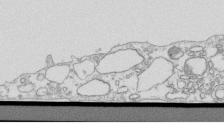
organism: Mouse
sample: Macrophages